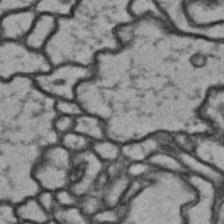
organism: Drosophila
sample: Brain